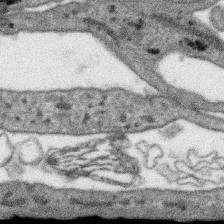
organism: Human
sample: Lung epithelial cells infected with SARS-CoV-2